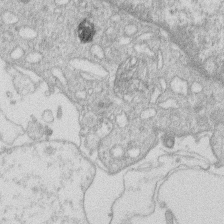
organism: Human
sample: Macrophage cells